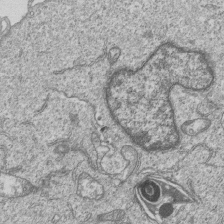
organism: Human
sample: MDA-MB-231 cells